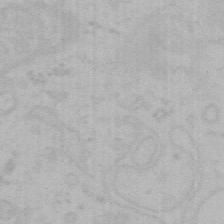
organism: Mouse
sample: Choroid plexus